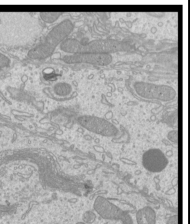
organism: Mouse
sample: Cilia; mouse epididymis